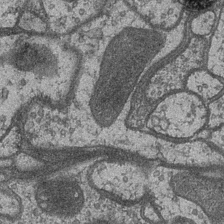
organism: Drosophila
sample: Optic medulla